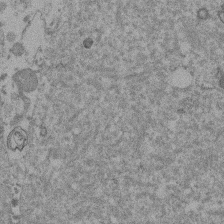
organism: Mouse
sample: Dividing mouse embryo 1 cell stage